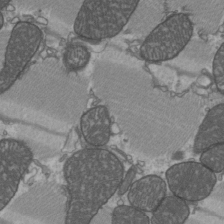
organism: C57BL Mouse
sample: Heart